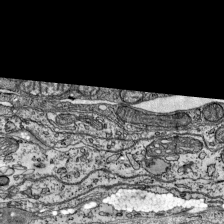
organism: Mouse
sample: Visual Cortex